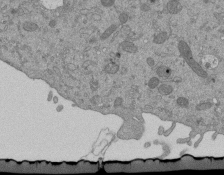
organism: Mouse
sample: ED-1 cell nuclei; centrioles